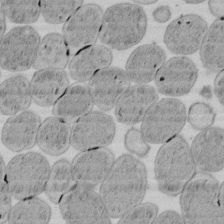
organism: E. coli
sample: Bacterial nucleoid